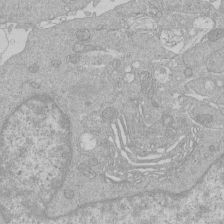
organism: Human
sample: Macrophage cells